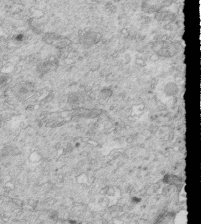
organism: Mouse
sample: Multiciliated cells